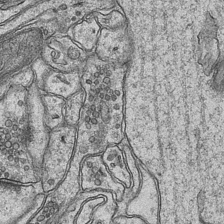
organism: Mouse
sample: CA1 Hippocampus